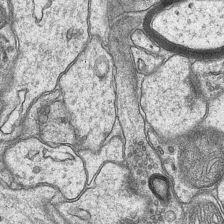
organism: Mouse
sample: CA1 Hippocampus